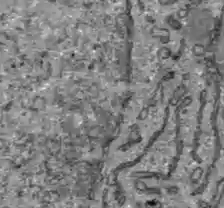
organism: C57BL Mouse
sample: Liver